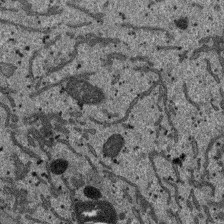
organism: Human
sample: Lung epithelial cells infected with SARS-CoV-2